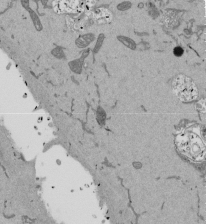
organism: Mouse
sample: ED-1 cell nuclei; centrioles